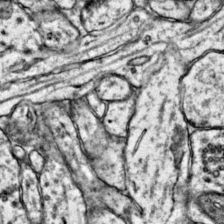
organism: Mouse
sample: Primary visual cortex